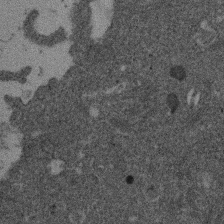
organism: Mouse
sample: Dividing mouse embryo 1 cell stage